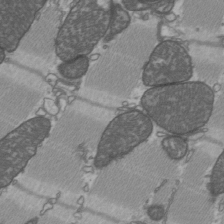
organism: C57BL Mouse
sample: Heart